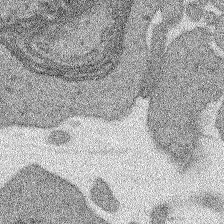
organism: Human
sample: HeLa cells